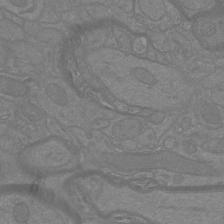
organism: Mouse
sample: Cortical neurons